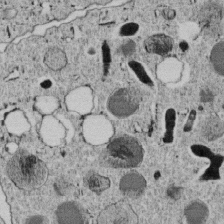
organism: C. elegans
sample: C. elegans embryo early stage